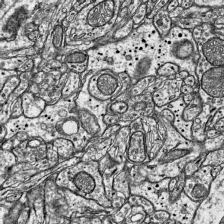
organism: Mouse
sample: Visual Cortex